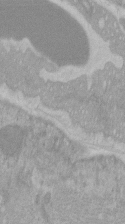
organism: C57BL Mouse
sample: Tibialis anterior muscle cell